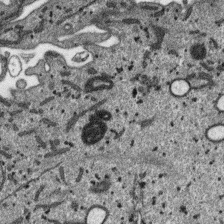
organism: Human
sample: Lung epithelial cells infected with SARS-CoV-2